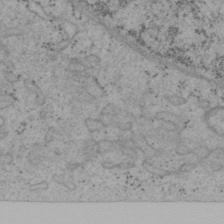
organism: Human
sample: HeLa cells